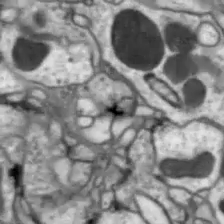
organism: Drosophila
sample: Optic lobe